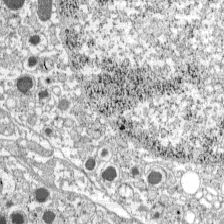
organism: C57BL Mouse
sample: Pancreatic islet